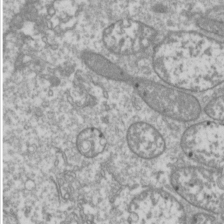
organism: Drosophila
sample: Cell division; meiosis; drosophila spermatocytes